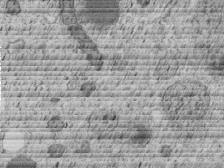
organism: C. elegans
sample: C. elegans embryo early stage